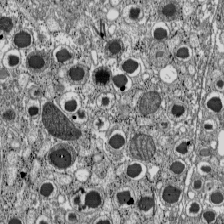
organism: C57BL Mouse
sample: Pancreatic islet